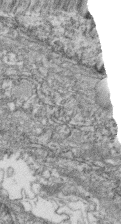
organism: Zebrafish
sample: Cilia; retinal pigment epithelium